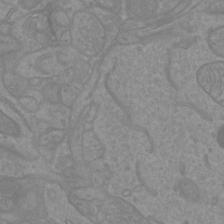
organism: Mouse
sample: Cortical neurons